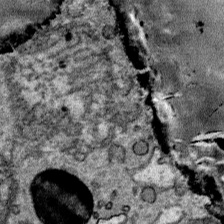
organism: Mouse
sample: Mouse Salivary gland